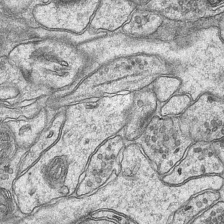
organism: Mouse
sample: CA1 Hippocampus